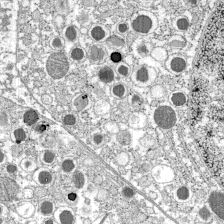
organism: C57BL Mouse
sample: Pancreatic islet